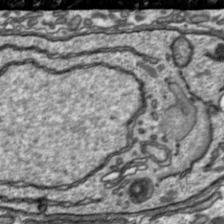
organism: Toxoplasma gondii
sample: Parasites in a vacuole inside a host cell